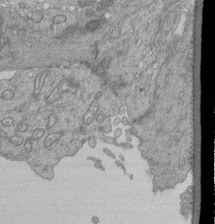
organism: Human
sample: Retinal organoid Rod and Cone cells